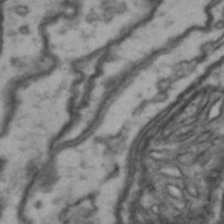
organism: Drosophila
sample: Brain